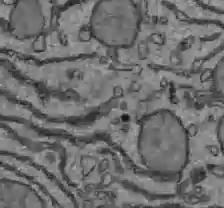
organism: C57BL Mouse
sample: Liver